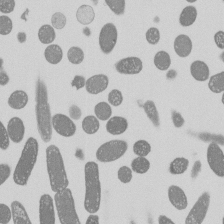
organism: E. coli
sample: Bacterial nucleoid